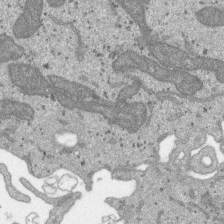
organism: Human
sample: Lung epithelial cells infected with SARS-CoV-2